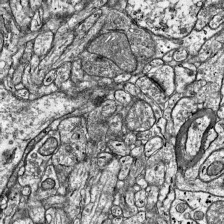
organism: Mouse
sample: Visual Cortex